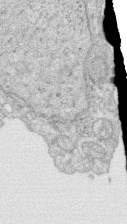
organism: Human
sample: HeLa cell HIV synapse